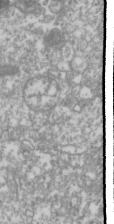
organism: Drosophila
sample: Cell division; meiosis; drosophila spermatocytes